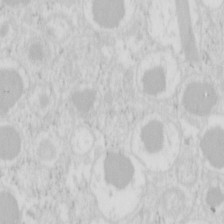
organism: Mouse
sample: Pancreas